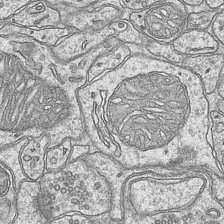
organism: Mouse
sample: CA1 Hippocampus